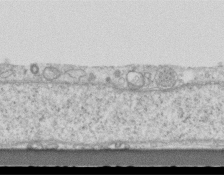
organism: Mouse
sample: Centriole in ependymal cells